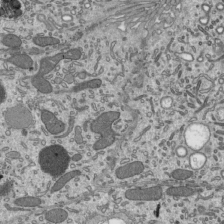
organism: Mouse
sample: Mouse epididymis efferent ductule cilia